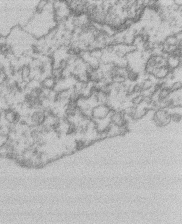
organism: Mouse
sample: T cell stromal cell synapse